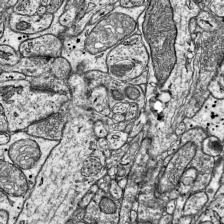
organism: Mouse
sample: Visual Cortex